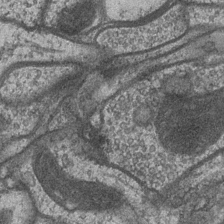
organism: Drosophila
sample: Optic medulla